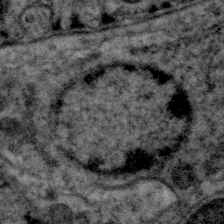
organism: C. elegans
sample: Pharynx